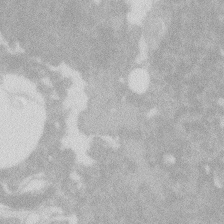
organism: Zebrafish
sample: Macrophage